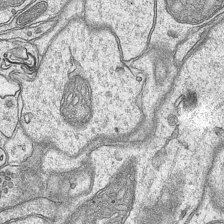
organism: Mouse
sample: CA1 Hippocampus